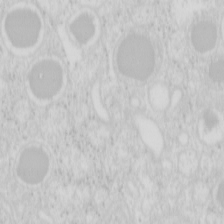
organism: Mouse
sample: Pancreas